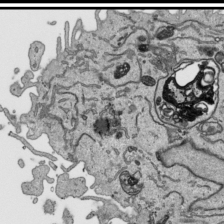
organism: Human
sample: Mitochondria in HCT116 cells